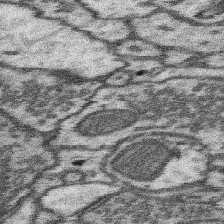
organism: Mouse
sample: Somatosensory cortex neuropil